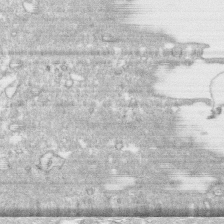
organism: Human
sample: CRL-1474